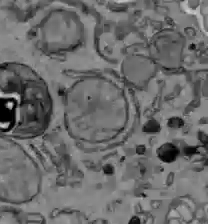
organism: C57BL Mouse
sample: Liver